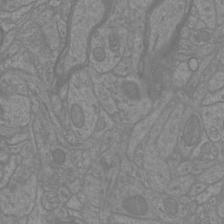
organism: Mouse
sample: Cortical neurons